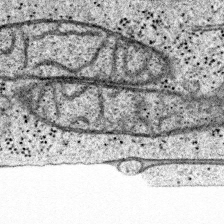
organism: Human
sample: HeLa cells